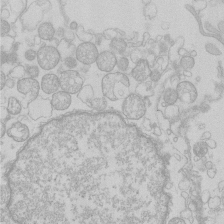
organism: Human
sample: Macrophage cells